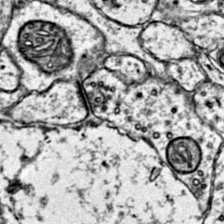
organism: Mouse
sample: Primary visual cortex